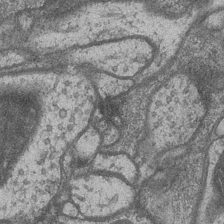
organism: Drosophila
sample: Optic medulla